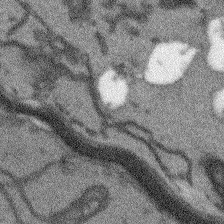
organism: Arabidopsis thaliana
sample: Root tip